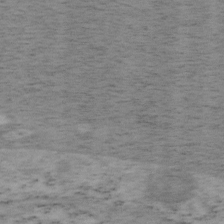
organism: Mouse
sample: OT-I killer T cells with ID8 ovarian cancer cells